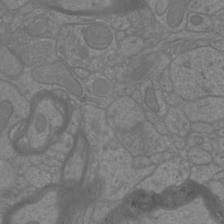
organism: Mouse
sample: Cortical neurons